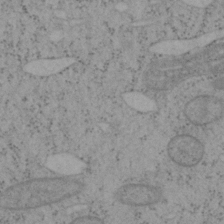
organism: Mouse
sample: OT-I killer T cells with ID8 ovarian cancer cells